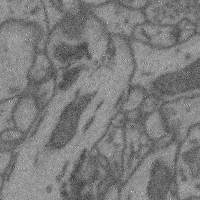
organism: Mouse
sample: Cerebral cortex